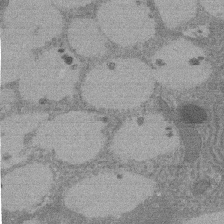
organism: Rat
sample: Salivary granule